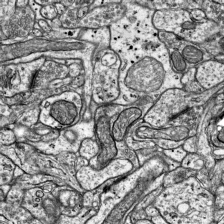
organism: Mouse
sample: Visual Cortex